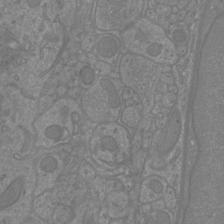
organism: Mouse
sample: Cortical neurons